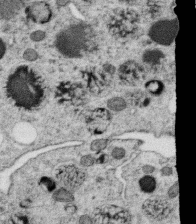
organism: C. elegans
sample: C. elegans oocyte; sperm cells